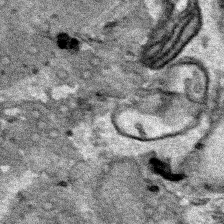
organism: Human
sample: Mitochondria in HCT116 cells